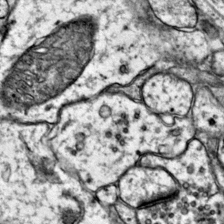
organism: Mouse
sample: Primary visual cortex